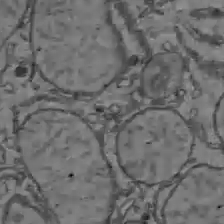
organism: C57BL Mouse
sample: Liver